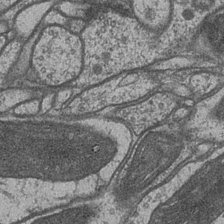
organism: Drosophila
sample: Optic medulla